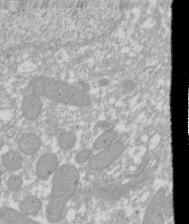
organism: Xenopus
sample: Cilia; centrioles in frog embryo cells